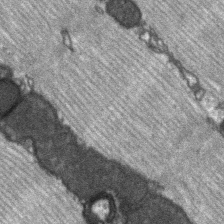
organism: C57BL Mouse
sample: Soleus